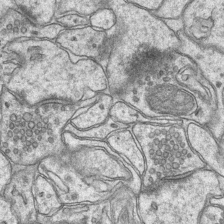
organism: Mouse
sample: CA1 Hippocampus